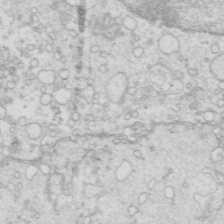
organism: Mouse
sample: Multiciliated cells